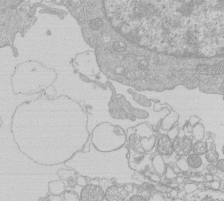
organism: Human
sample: Macrophage cells